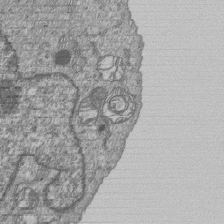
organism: Human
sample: MDA-MB-231 cells